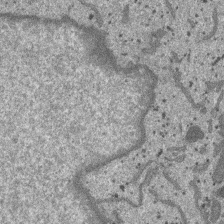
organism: Human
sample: Lung epithelial cells infected with SARS-CoV-2